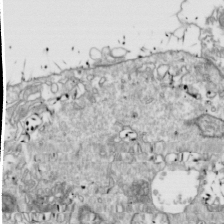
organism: Drosophila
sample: Cell division; meiosis; drosophila spermatocytes